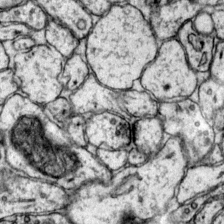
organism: Mouse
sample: Primary visual cortex